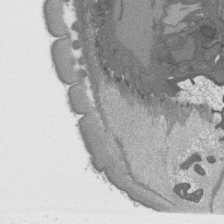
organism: C. elegans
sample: AFD neurons C. elegans